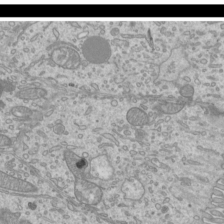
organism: Mouse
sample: Cilia; mouse epididymis